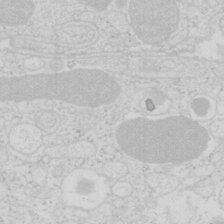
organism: Mouse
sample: Pancreas